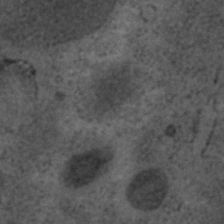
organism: C. elegans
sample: C. elegans embryo